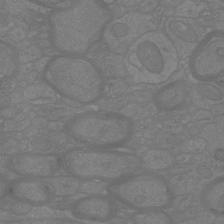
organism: Mouse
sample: Cortical neurons